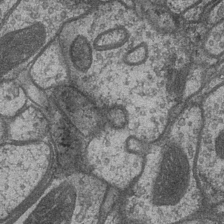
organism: Drosophila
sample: Optic medulla